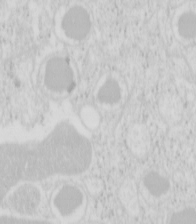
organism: Mouse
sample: Pancreas